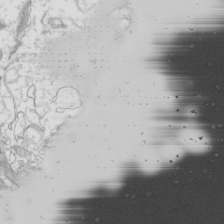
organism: Mouse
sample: Cilia; mouse epididymis